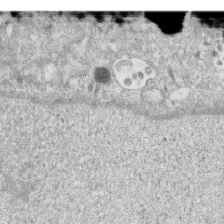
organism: Human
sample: HeLa cell HIV synapse